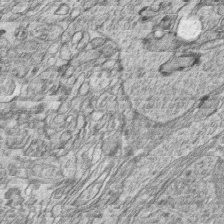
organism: Zebrafish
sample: synaptic ribbons in rod cells and cone cells